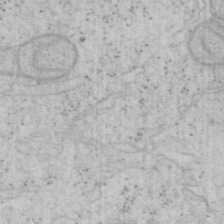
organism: Human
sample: HeLa cells